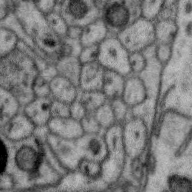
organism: Zebra finch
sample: Brain